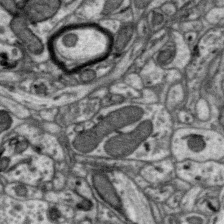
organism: Zebra finch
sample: Brain